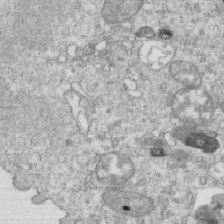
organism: Mouse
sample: Activated OT-1 CD8+ T cells